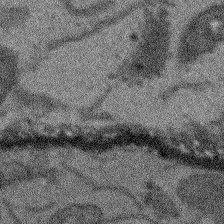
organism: Arabidopsis thaliana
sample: Root tip